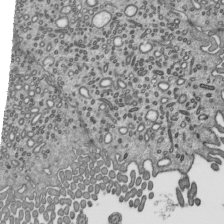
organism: Mouse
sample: Mouse epididymis efferent ductule cilia